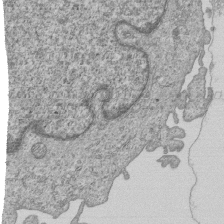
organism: Human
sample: MDA-MB-231 cells